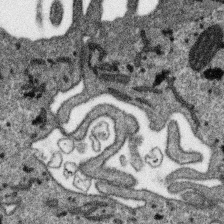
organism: Human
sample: Lung epithelial cells infected with SARS-CoV-2